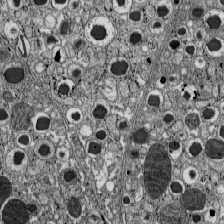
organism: C57BL Mouse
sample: Pancreatic islet